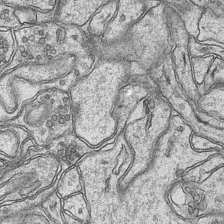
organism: Mouse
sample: CA1 Hippocampus